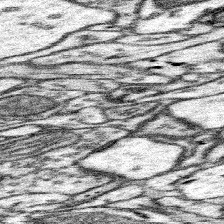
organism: Mouse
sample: Somatosensory cortex neuropil